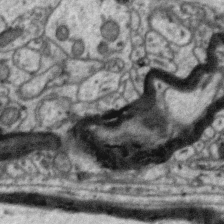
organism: Zebra finch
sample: Brain